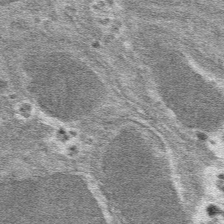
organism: Mouse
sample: Mouse hepatocytes